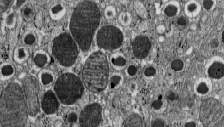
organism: C57BL Mouse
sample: Pancreatic islet